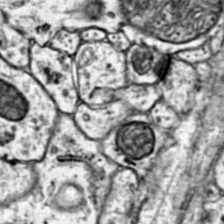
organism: Mouse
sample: Primary visual cortex